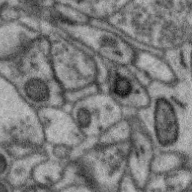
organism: Zebra finch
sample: Brain